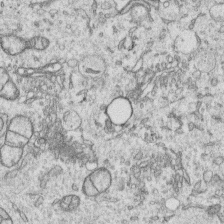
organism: Human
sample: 1205lu cells